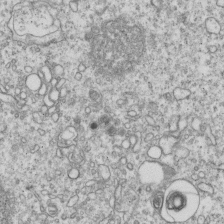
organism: Human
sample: MDA-MB-231 cells